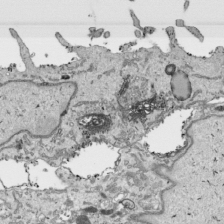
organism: Human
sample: Mitochondria in HCT116 cells